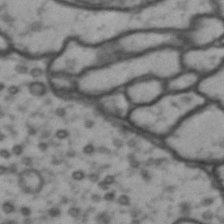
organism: Drosophila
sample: Brain